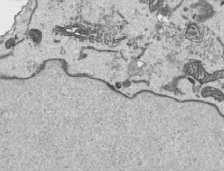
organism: Human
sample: Mitochondria in HCT116 cells